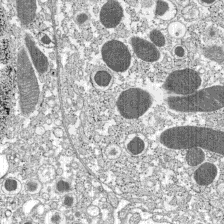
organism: C57BL Mouse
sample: Pancreatic islet